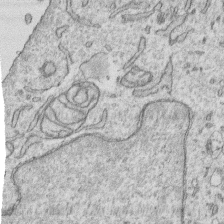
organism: Human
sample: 1205lu cells